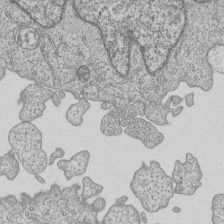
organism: Human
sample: MDA-MB-231 cells